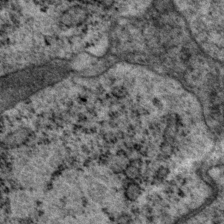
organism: P. pacificus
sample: Pharynx